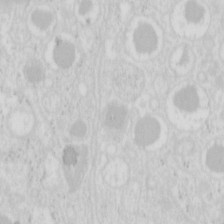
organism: Mouse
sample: Pancreas